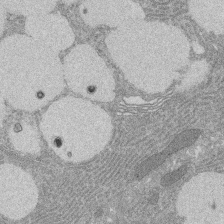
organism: Rat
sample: Salivary granule